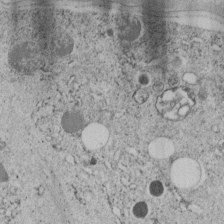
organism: C. elegans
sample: C. elegans embryo early stage